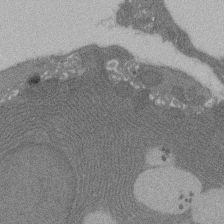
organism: Rat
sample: Salivary granule